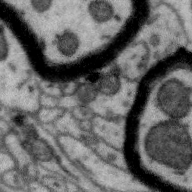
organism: Zebra finch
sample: Brain